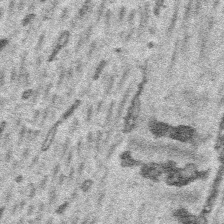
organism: Platynereis dumerilii